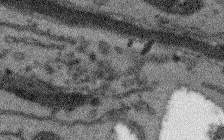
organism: Arabidopsis thaliana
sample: Root tip